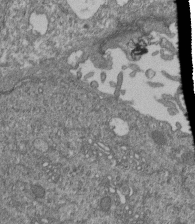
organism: Human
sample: Retinal organoid Rod and Cone cells